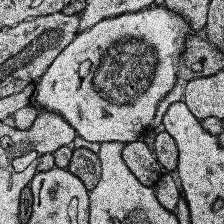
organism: Human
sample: Temporal Lobe